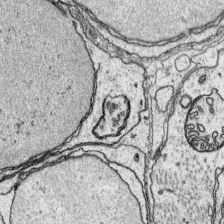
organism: Platynereis dumerilii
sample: Parapodia